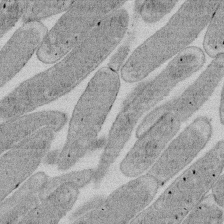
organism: E. coli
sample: Bacterial nucleoid